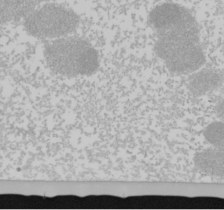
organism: Mouse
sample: Cancer cell death in ED-1 cells